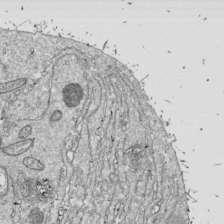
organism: Drosophila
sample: Cell division; meiosis; drosophila spermatocytes